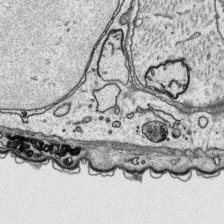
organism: Platynereis dumerilii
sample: Parapodia